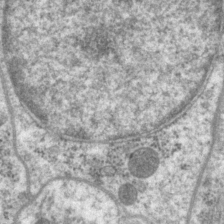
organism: P. pacificus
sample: Pharynx